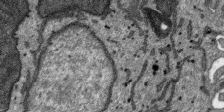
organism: Human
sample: Lung epithelial cells, uninfected (mock) control